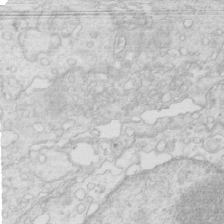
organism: Mouse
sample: Multiciliated cells